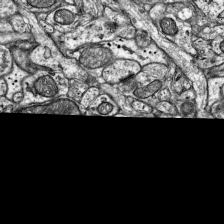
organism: Mouse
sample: Visual Cortex